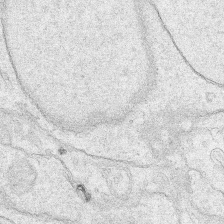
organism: Human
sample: Mitochondria in HCT116 cells